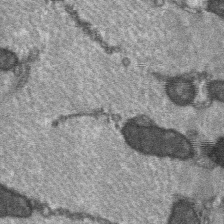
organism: C57BL Mouse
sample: Soleus